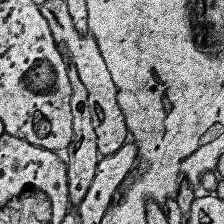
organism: Human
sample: Temporal Lobe